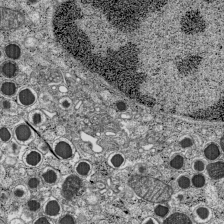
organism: C57BL Mouse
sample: Pancreatic islet